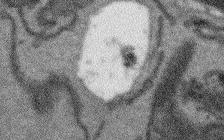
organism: Arabidopsis thaliana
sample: Root tip